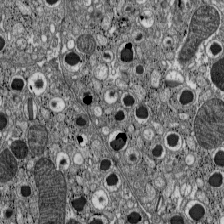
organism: C57BL Mouse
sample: Pancreatic islet